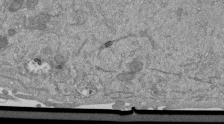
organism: Mouse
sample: ED-1 cell nuclei; centrioles